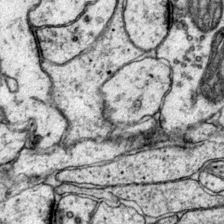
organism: Mouse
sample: Primary visual cortex